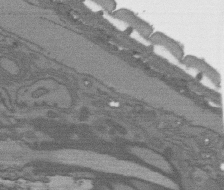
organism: C. elegans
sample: AFD neurons C. elegans